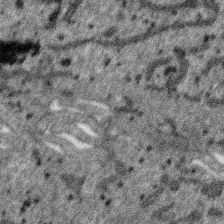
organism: Human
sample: Lung epithelial cells infected with SARS-CoV-2